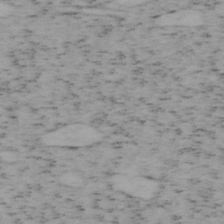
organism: Mouse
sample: OT-I killer T cells with ID8 ovarian cancer cells